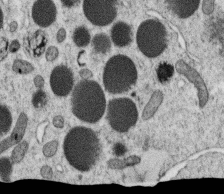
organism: C. elegans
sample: C. elegans oocyte; sperm cells